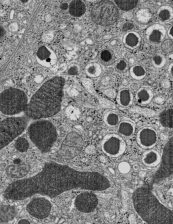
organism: C57BL Mouse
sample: Pancreatic islet